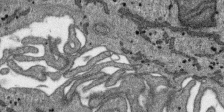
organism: Human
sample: Lung epithelial cells, uninfected (mock) control